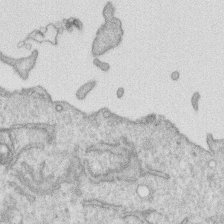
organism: Human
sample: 1205lu cells